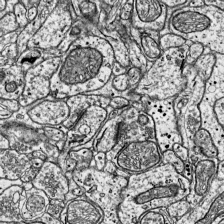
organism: Mouse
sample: Visual Cortex